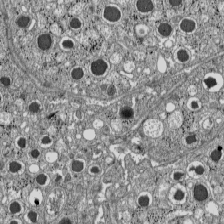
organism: C57BL Mouse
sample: Pancreatic islet